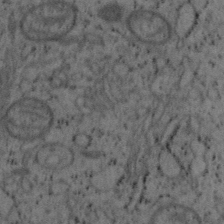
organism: Human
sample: HeLa cells